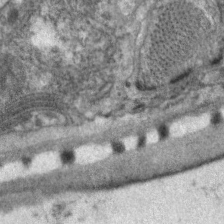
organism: C. elegans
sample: Pharynx